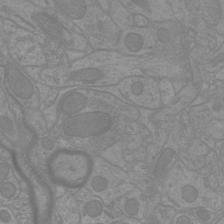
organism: Mouse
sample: Cortical neurons